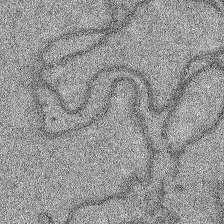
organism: Human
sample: HeLa cells